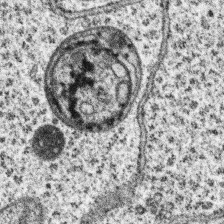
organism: Human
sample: HeLa cells